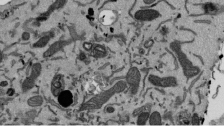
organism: Mouse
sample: ED-1 cell nuclei; centrioles